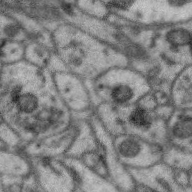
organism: Zebra finch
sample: Brain